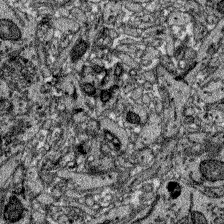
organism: Zebrafish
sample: Larval olfactory bulb